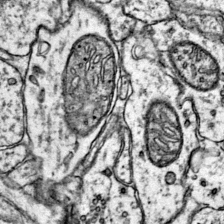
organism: Mouse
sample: Primary visual cortex